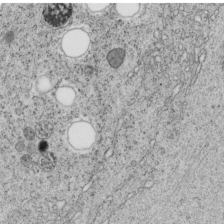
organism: C. elegans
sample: C. elegans embryo early stage